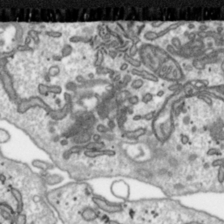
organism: Toxoplasma gondii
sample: Parasites in a vacuole inside a host cell